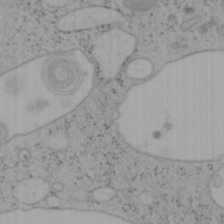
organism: Mouse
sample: OT-I killer T cells with ID8 ovarian cancer cells